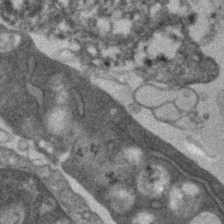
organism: Human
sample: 1205lu cells